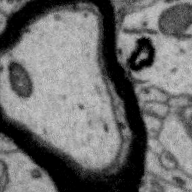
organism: Zebra finch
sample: Brain